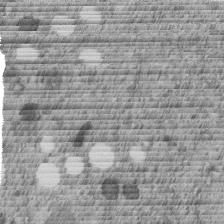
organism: C. elegans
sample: C. elegans embryo early stage